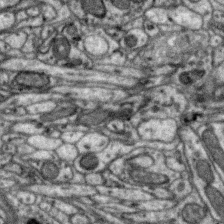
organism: Zebra finch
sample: Brain